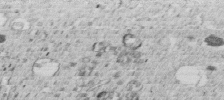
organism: C. elegans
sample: C. elegans embryo early stage